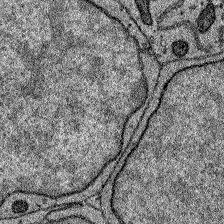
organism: Zebrafish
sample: Larval olfactory bulb